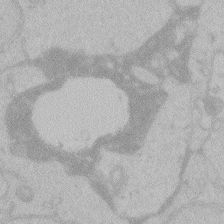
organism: Zebrafish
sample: Macrophage infected with Toxoplasma gondii